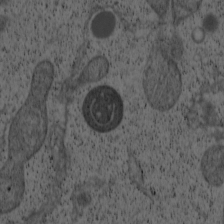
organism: African green monkey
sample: COS-7 cells